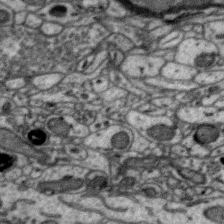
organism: Zebra finch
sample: Brain